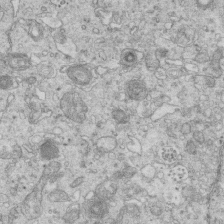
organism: Mouse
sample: Multiciliated cells